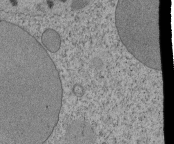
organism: Tetrahymena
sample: Cilia in tetrahymena